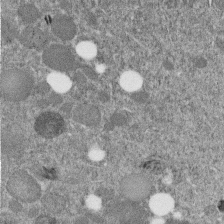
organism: C. elegans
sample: C. elegans embryo early stage